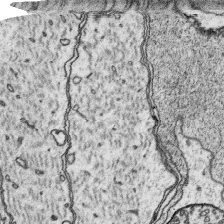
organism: Platynereis dumerilii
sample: Parapodia